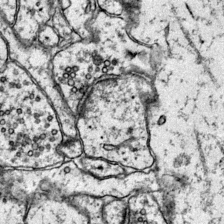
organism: Mouse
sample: Primary visual cortex